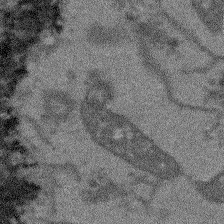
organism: Arabidopsis thaliana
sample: Root tip